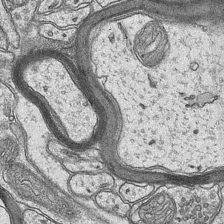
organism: Mouse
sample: CA1 Hippocampus